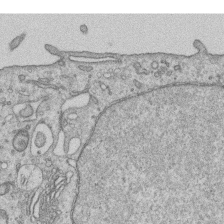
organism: Human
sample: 1205lu cells